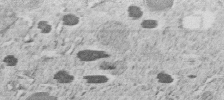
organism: C. elegans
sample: C. elegans embryo early stage